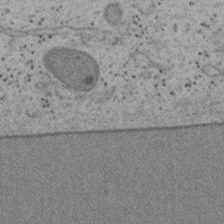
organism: Human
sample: HeLa cells